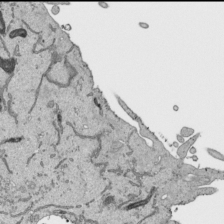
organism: Human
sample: Mitochondria in HCT116 cells